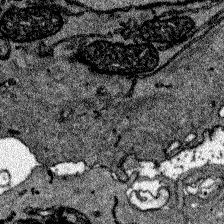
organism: Zebrafish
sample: Larval olfactory bulb